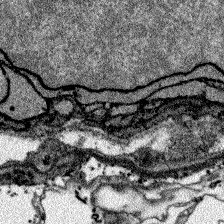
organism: Zebrafish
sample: Larval olfactory bulb